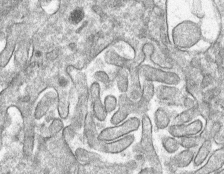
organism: Mouse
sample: Mouse hepatocytes